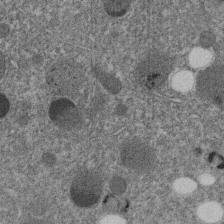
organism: C. elegans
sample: C. elegans embryo early stage